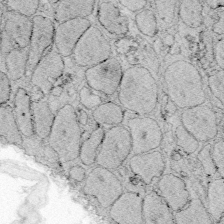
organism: Zebrafish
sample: Whole-Brain